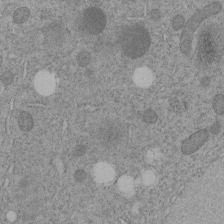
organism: C. elegans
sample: C. elegans embryo early stage